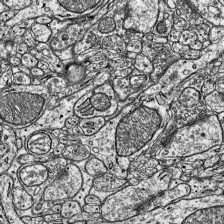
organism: Mouse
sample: Visual Cortex